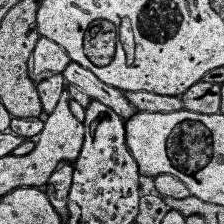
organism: Human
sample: Temporal Lobe